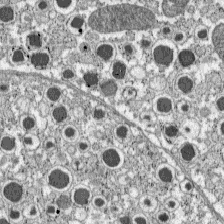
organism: C57BL Mouse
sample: Pancreatic islet